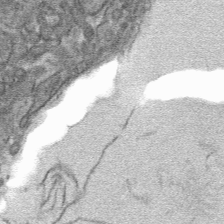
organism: Mouse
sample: Mouse hepatocytes